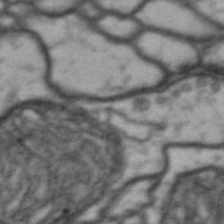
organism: Drosophila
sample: Brain